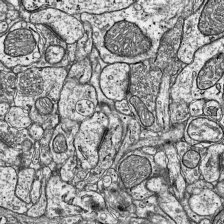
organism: Mouse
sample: Visual Cortex